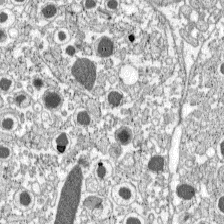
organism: C57BL Mouse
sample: Pancreatic islet